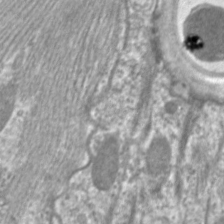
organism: C. elegans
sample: Pharynx